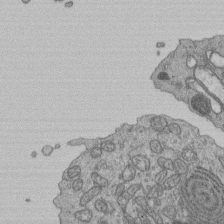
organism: Human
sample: Retinal organoid Rod and Cone cells